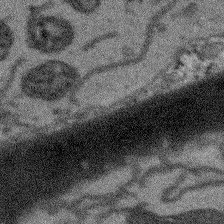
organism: Arabidopsis thaliana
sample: Root tip